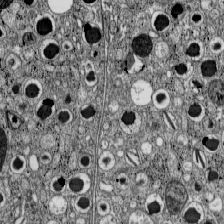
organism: C57BL Mouse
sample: Pancreatic islet